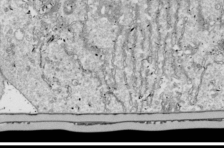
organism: Drosophila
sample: Cell division; meiosis; drosophila spermatocytes